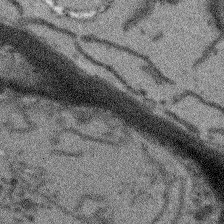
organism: Arabidopsis thaliana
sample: Root tip